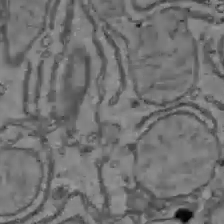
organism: C57BL Mouse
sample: Liver